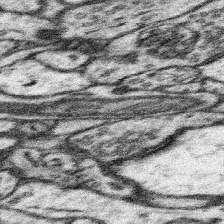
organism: Mouse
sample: Somatosensory cortex neuropil